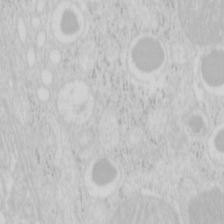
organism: Mouse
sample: Pancreas